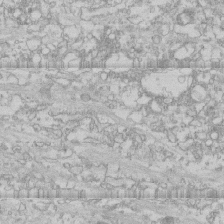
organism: Human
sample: CRL-1474